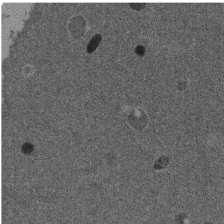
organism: Mouse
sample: Dividing mouse embryo 1 cell stage